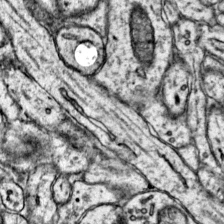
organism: Mouse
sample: Primary visual cortex